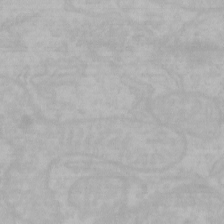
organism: Mouse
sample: Choroid plexus